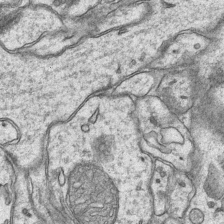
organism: Mouse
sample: CA1 Hippocampus